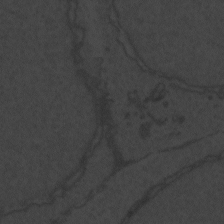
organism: Zebrafish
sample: Macrophage infected with Toxoplasma gondii